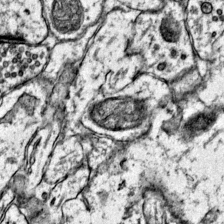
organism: Mouse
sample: Primary visual cortex